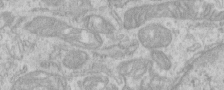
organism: Human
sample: Centriole in RPE cells